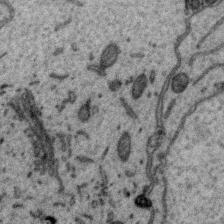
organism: Zebra finch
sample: Brain